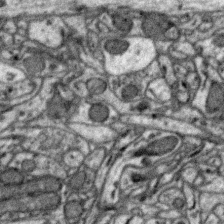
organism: Zebra finch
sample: Brain